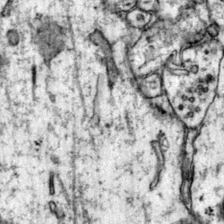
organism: Mouse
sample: Primary visual cortex